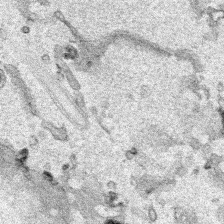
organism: Human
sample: Mitochondria in HCT116 cells